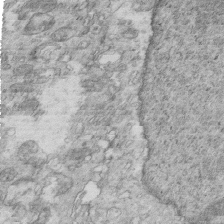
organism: Mouse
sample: Multiciliated cells